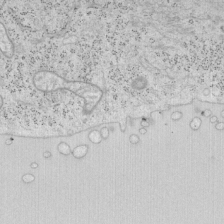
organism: Mouse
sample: OT-I killer T cells with ID8 ovarian cancer cells